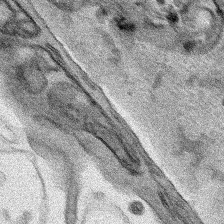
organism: Human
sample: Mitochondria in HCT116 cells